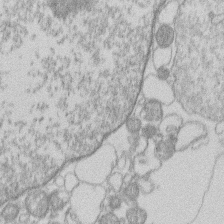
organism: Human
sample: Macrophage cells